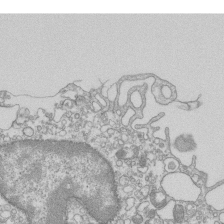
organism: Mouse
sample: Macrophages